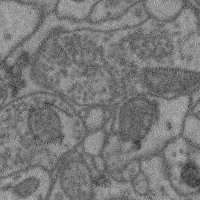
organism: Mouse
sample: Cerebral cortex